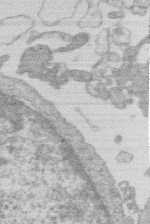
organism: Human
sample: Macrophage cells